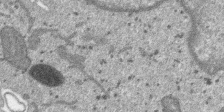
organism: Human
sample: Lung epithelial cells infected with SARS-CoV-2